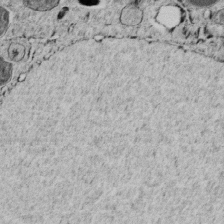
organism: C. elegans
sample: C. elegans embryo early stage